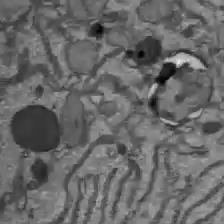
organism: C57BL Mouse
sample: Liver